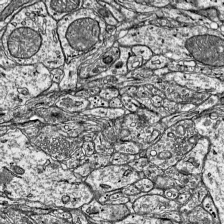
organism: Mouse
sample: Visual Cortex